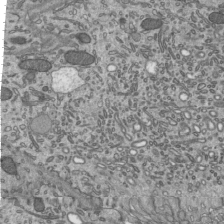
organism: Mouse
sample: Mouse epididymis efferent ductule cilia